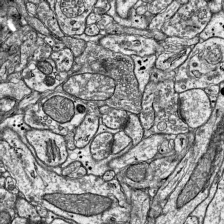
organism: Mouse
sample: Visual Cortex